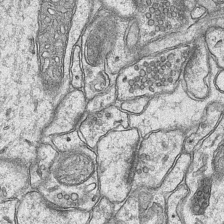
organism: Mouse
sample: CA1 Hippocampus